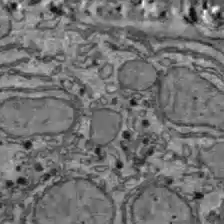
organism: C57BL Mouse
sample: Liver